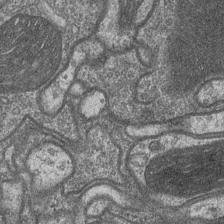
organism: Drosophila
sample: Optic medulla